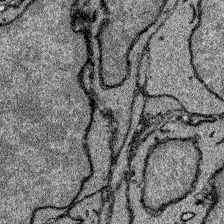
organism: Zebrafish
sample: Larval olfactory bulb